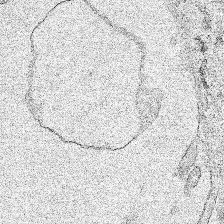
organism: Human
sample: Mitochondria in HCT116 cells